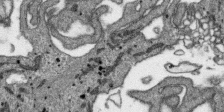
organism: Human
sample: Lung epithelial cells, uninfected (mock) control